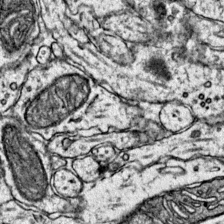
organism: Mouse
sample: Primary visual cortex